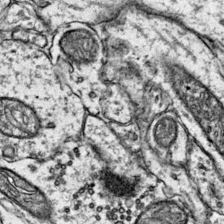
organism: Mouse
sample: Primary visual cortex